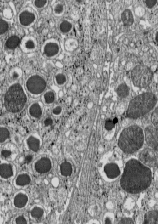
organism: C57BL Mouse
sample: Pancreatic islet